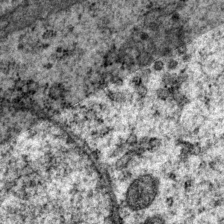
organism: P. pacificus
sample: Pharynx